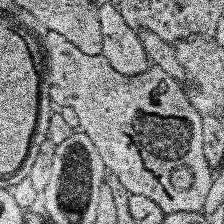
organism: Human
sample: Temporal Lobe